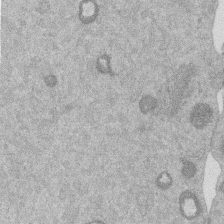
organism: Mouse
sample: Dividing mouse embryo 1 cell stage